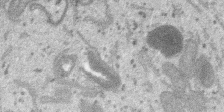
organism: Human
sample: Lung epithelial cells infected with SARS-CoV-2